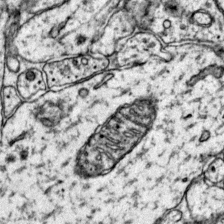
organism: Mouse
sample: Primary visual cortex